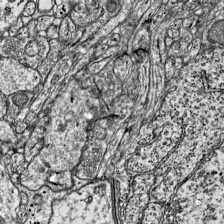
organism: Mouse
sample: Visual Cortex